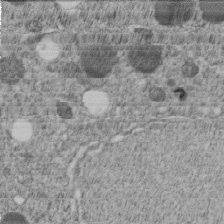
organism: C. elegans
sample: C. elegans embryo early stage